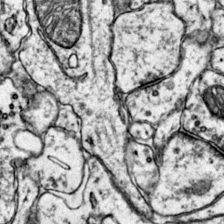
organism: Mouse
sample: Primary visual cortex